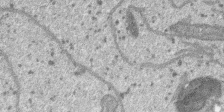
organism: Human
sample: Lung epithelial cells infected with SARS-CoV-2